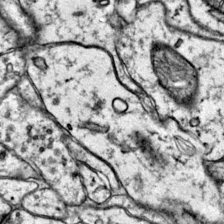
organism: Mouse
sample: Primary visual cortex